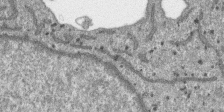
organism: Human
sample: Lung epithelial cells infected with SARS-CoV-2